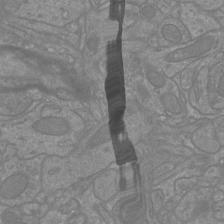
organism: Mouse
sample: Cortical neurons